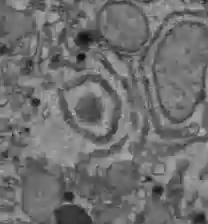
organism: C57BL Mouse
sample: Liver